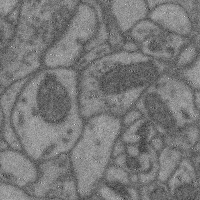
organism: Mouse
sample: Cerebral cortex